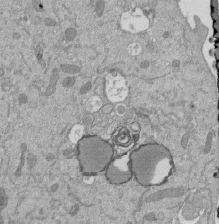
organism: Mouse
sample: ED-1 cell nuclei; centrioles